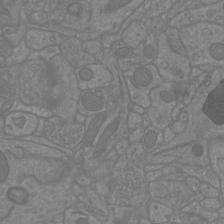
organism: Mouse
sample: Cortical neurons